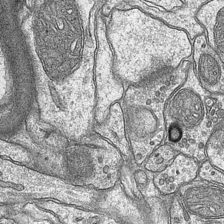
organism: Mouse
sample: CA1 Hippocampus